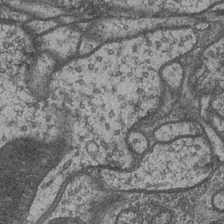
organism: Drosophila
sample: Optic medulla